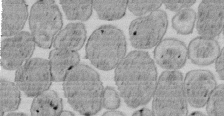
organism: E. coli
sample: Bacterial nucleoid